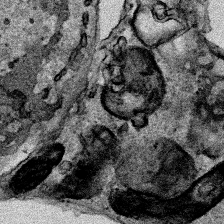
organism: Human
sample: Mitochondria in HCT116 cells